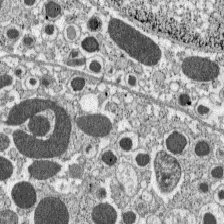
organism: C57BL Mouse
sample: Pancreatic islet